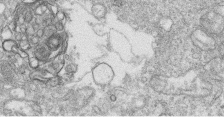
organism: Human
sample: HeLa cell HIV synapse